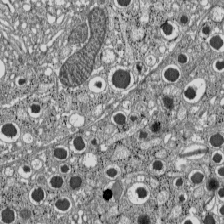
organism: C57BL Mouse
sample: Pancreatic islet